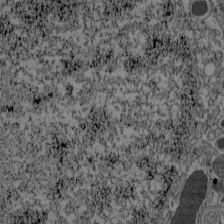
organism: C57BL Mouse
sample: Pancreatic islet